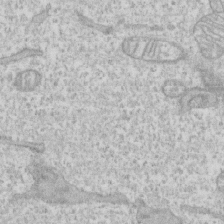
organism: Human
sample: CRL-1474